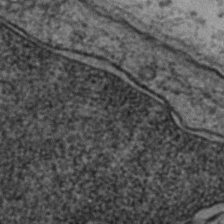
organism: Zebrafish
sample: Zebrafish embryo